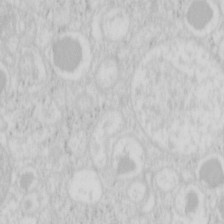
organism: Mouse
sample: Pancreas